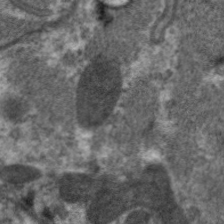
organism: C. elegans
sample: Pharynx